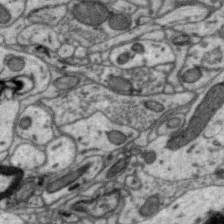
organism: Zebra finch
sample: Brain